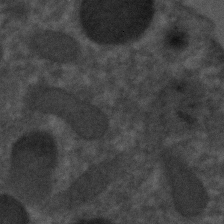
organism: C. elegans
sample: C. elegans embryo